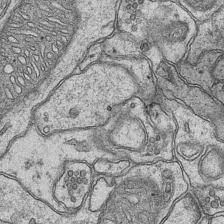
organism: Mouse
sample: CA1 Hippocampus